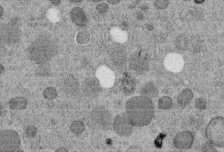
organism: C. elegans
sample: C. elegans embryo early stage